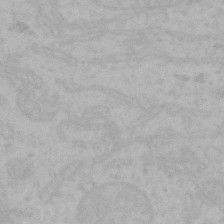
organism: Mouse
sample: Choroid plexus